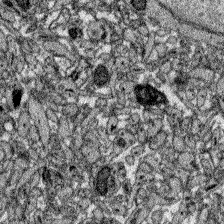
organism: Zebrafish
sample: Larval olfactory bulb